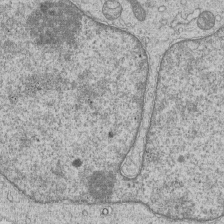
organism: Human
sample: MDA-MB-231 cells